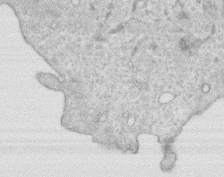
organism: Human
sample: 1205lu cells